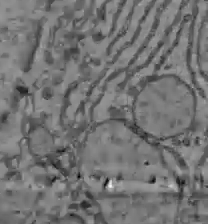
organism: C57BL Mouse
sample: Liver